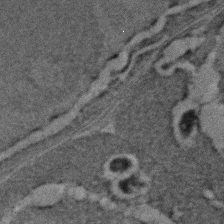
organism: C. elegans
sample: C. elegans embryo